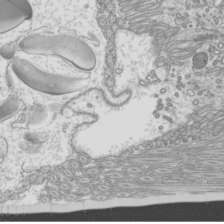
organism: Mouse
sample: Cilia; mouse epididymis